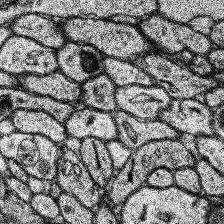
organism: Human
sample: Temporal Lobe